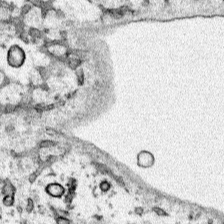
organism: Human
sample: Mitochondria in HCT116 cells